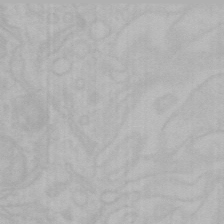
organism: Mouse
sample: Choroid plexus